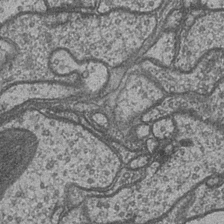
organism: Drosophila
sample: Optic medulla